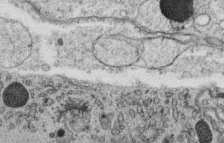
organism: C. elegans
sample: C. elegans oocyte; sperm cells